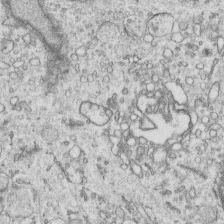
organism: Human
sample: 1205lu cells